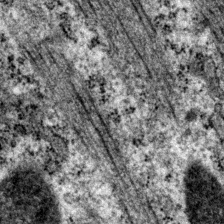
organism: P. pacificus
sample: Pharynx